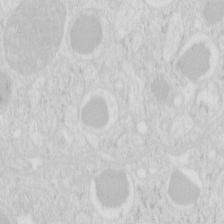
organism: Mouse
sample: Pancreas